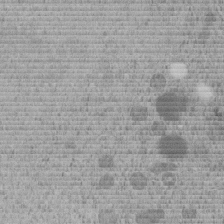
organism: C. elegans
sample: C. elegans embryo early stage